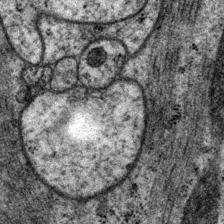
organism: P. pacificus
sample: Pharynx